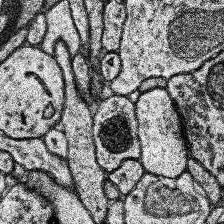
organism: Human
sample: Temporal Lobe